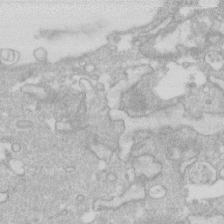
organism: Human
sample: Fibroblast cells